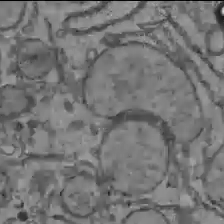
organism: C57BL Mouse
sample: Liver